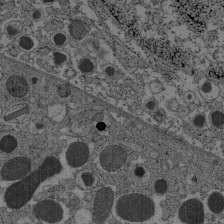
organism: C57BL Mouse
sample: Pancreatic islet